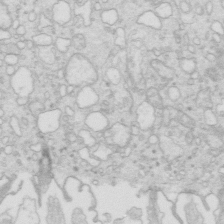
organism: Mouse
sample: Multiciliated cells